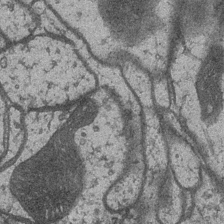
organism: Drosophila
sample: Optic medulla